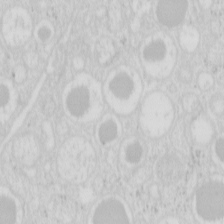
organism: Mouse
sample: Pancreas